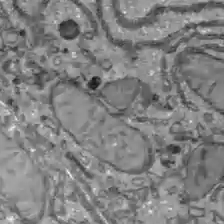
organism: C57BL Mouse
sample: Liver